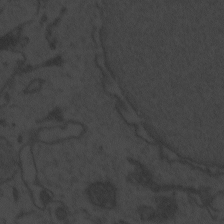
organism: Zebrafish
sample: Macrophage infected with Toxoplasma gondii